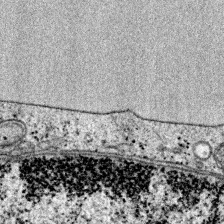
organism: Human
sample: HeLa cells